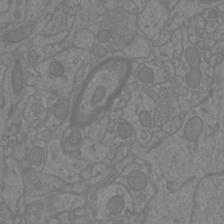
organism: Mouse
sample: Cortical neurons